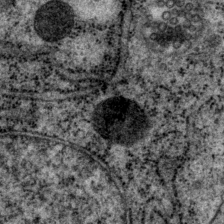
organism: P. pacificus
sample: Pharynx